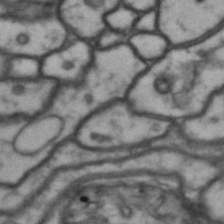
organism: Drosophila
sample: Brain